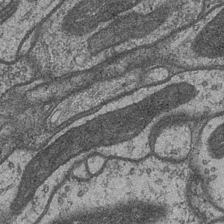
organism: Drosophila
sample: Optic medulla